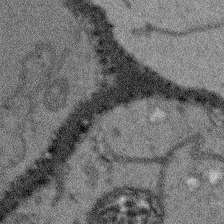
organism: Arabidopsis thaliana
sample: Root tip